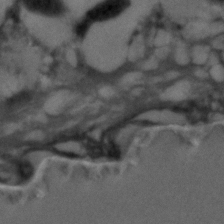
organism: C. elegans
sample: C. elegans embryo